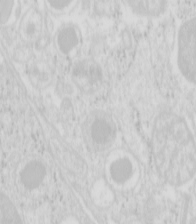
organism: Mouse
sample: Pancreas